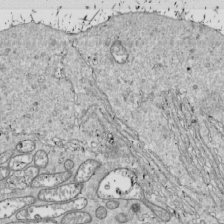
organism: Drosophila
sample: Cell division; meiosis; drosophila spermatocytes